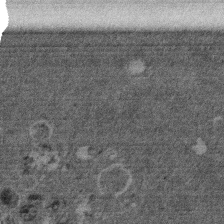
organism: Mouse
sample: Dividing mouse embryo 1 cell stage